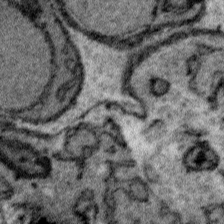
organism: Plasmodium falciparum